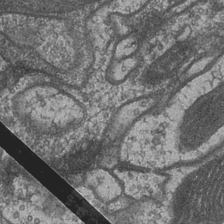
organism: Drosophila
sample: Optic medulla